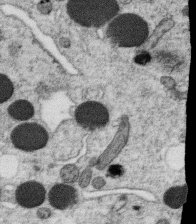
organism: C. elegans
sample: C. elegans oocyte; sperm cells